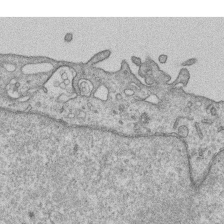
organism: Human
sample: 1205lu cells